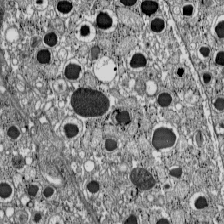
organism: C57BL Mouse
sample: Pancreatic islet